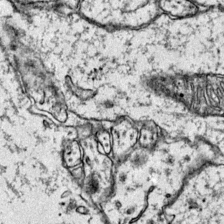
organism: Mouse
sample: Primary visual cortex